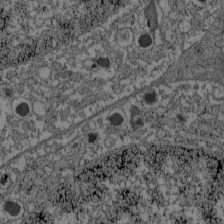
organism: C57BL Mouse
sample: Pancreatic islet